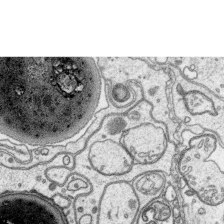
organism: Platynereis dumerilii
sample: Parapodia